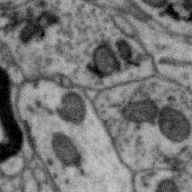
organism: Zebra finch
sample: Brain